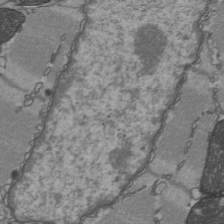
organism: C57BL Mouse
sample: Heart